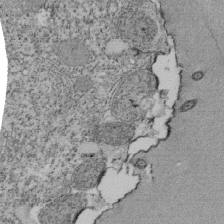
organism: Tetrahymena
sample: Cilia in tetrahymena